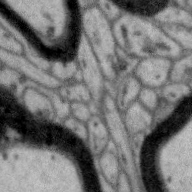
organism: Zebra finch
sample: Brain